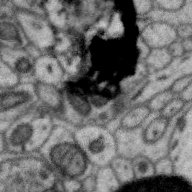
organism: Zebra finch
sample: Brain